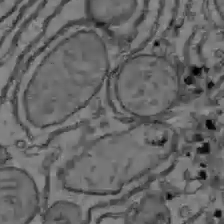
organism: C57BL Mouse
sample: Liver